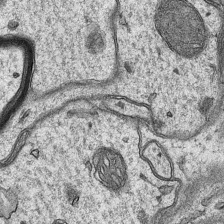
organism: Mouse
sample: CA1 Hippocampus